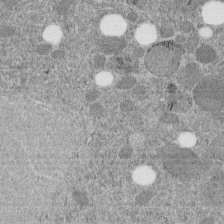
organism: C. elegans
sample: C. elegans embryo early stage